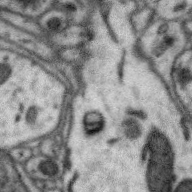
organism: Zebra finch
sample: Brain